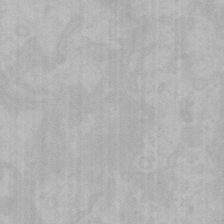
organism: Mouse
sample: Choroid plexus